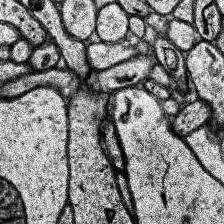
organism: Human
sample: Temporal Lobe